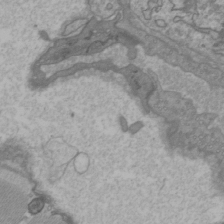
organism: C57BL Mouse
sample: Heart